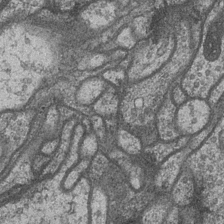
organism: Drosophila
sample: Optic medulla